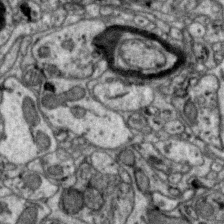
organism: Zebra finch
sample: Brain